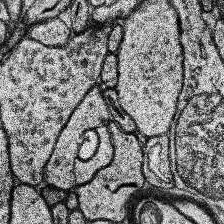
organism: Human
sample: Temporal Lobe